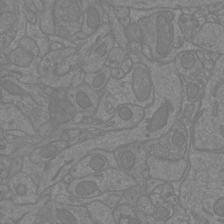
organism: Mouse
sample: Cortical neurons